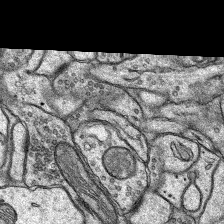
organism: Rat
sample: Hippocampus